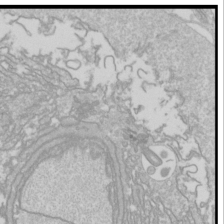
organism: Drosophila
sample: Cell division; meiosis; drosophila spermatocytes